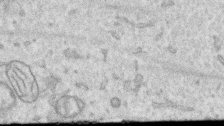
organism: Human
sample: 1205lu cells